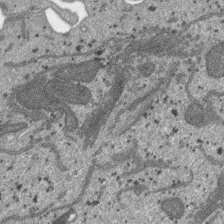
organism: Human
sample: Lung epithelial cells infected with SARS-CoV-2